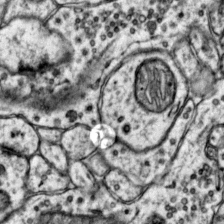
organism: Mouse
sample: Primary visual cortex